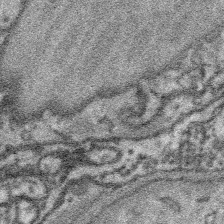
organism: Platynereis dumerilii